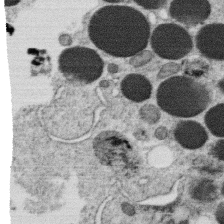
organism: C. elegans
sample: C. elegans oocyte; sperm cells